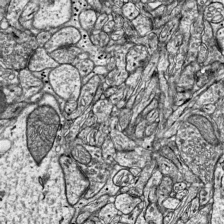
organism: Mouse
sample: Visual Cortex